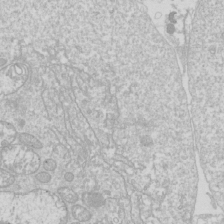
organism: Drosophila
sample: Cell division; meiosis; drosophila spermatocytes